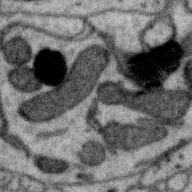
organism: Zebra finch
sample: Brain